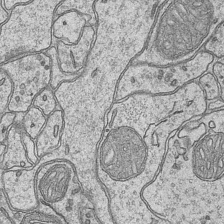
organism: Mouse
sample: CA1 Hippocampus